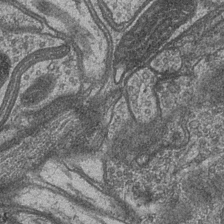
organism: Drosophila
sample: Optic medulla